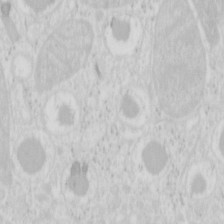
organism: Mouse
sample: Pancreas